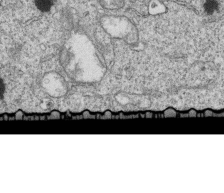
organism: Human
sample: HeLa cell HIV synapse